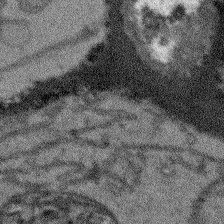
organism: Arabidopsis thaliana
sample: Root tip